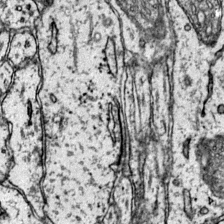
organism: Mouse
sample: Primary visual cortex